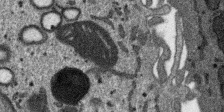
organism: Human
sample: Lung epithelial cells infected with SARS-CoV-2